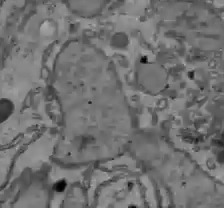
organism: C57BL Mouse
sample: Liver